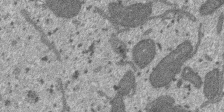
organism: Human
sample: Lung epithelial cells infected with SARS-CoV-2